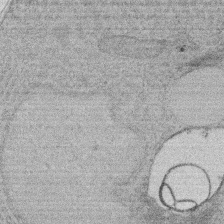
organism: Rat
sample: Salivary granule